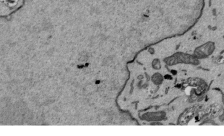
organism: Mouse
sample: ED-1 cell nuclei; centrioles